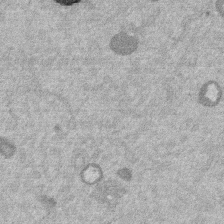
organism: Mouse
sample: Dividing mouse embryo 1 cell stage